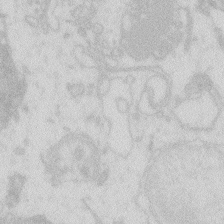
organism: Zebrafish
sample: Macrophage